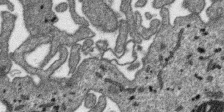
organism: Human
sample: Lung epithelial cells infected with SARS-CoV-2